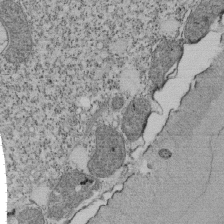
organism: Tetrahymena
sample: Cilia in tetrahymena